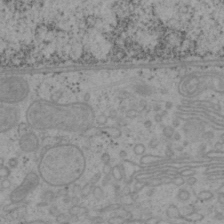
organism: Human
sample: HeLa cells